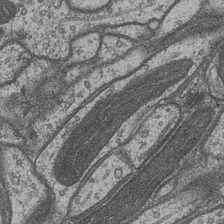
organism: Drosophila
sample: Optic medulla